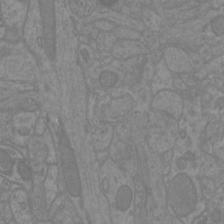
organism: Mouse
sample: Cortical neurons